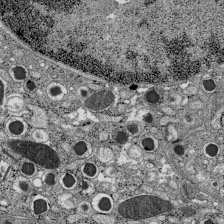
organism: C57BL Mouse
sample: Pancreatic islet